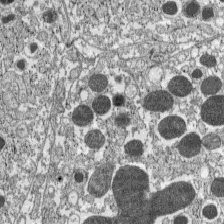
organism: C57BL Mouse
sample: Pancreatic islet